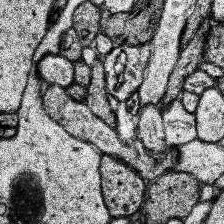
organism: Human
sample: Temporal Lobe